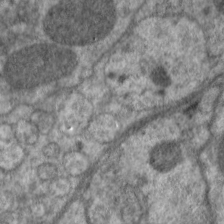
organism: C. elegans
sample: Pharynx